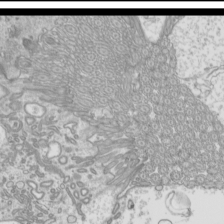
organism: Mouse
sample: Cilia; mouse epididymis